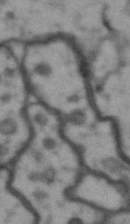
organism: Drosophila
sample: Brain